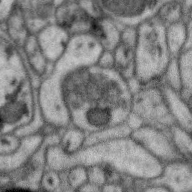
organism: Zebra finch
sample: Brain